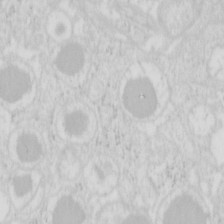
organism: Mouse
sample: Pancreas